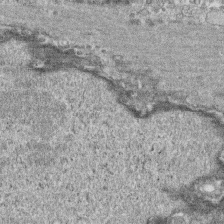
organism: Human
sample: CRL-1474